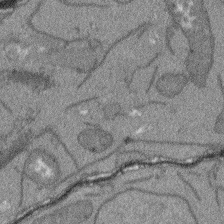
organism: Arabidopsis thaliana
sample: Root tip